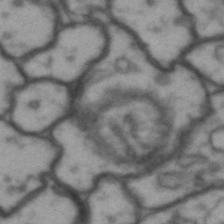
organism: Drosophila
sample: Brain